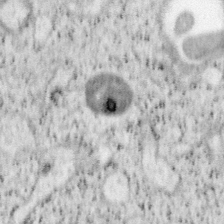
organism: Mouse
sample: OT-I killer T cells with ID8 ovarian cancer cells